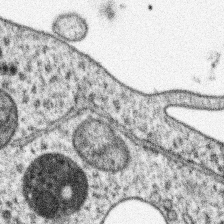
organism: Human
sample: HeLa cells